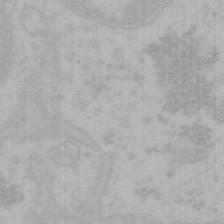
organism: Mouse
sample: Choroid plexus